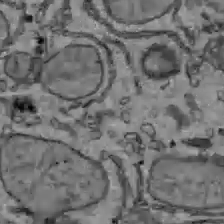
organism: C57BL Mouse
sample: Liver